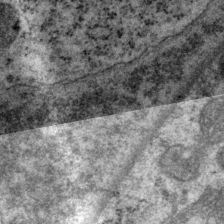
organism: P. pacificus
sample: Pharynx